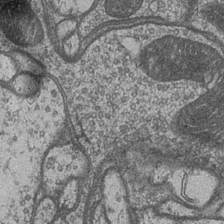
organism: Drosophila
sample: Optic medulla